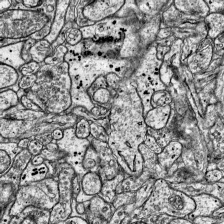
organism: Mouse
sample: Visual Cortex